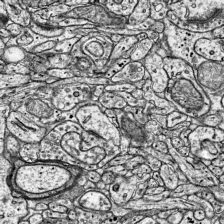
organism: Mouse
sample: Visual Cortex